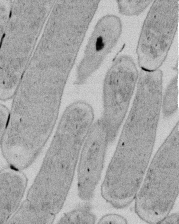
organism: E. coli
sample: Bacterial nucleoid